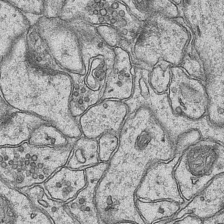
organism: Mouse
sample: CA1 Hippocampus